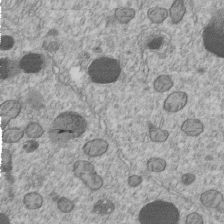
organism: C. elegans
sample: C. elegans embryo early stage